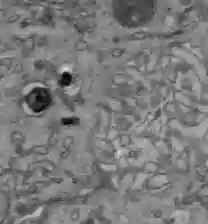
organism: C57BL Mouse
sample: Liver